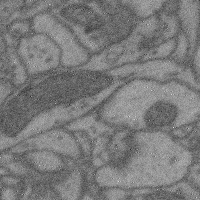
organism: Mouse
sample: Cerebral cortex